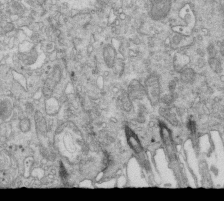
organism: Mouse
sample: Multiciliated cells